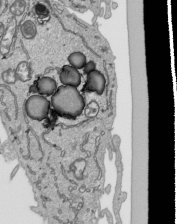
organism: Human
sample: Mitochondria in HCT116 cells